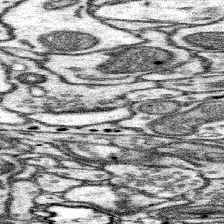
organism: Mouse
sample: Somatosensory cortex neuropil